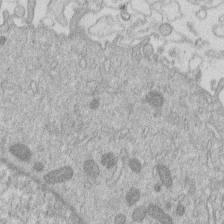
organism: Human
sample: Macrophage cells